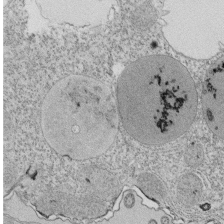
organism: Tetrahymena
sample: Cilia in tetrahymena